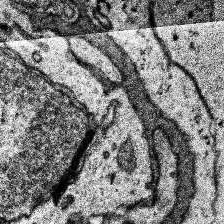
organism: Human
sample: Temporal Lobe